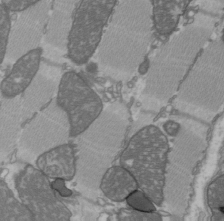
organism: C57BL Mouse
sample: Heart